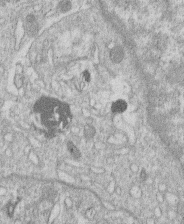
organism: Human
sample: Macrophage cells